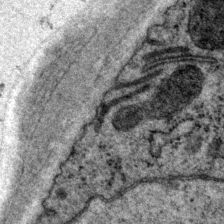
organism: P. pacificus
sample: Pharynx